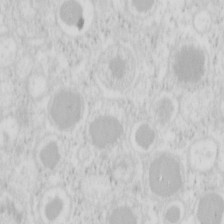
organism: Mouse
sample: Pancreas